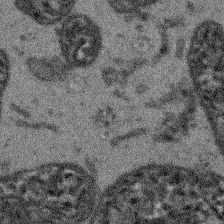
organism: Arabidopsis thaliana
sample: Root tip